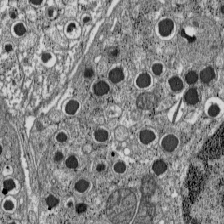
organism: C57BL Mouse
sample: Pancreatic islet